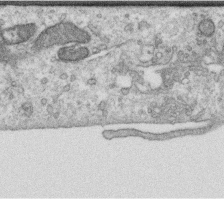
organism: Human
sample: Centriole in RPE cells